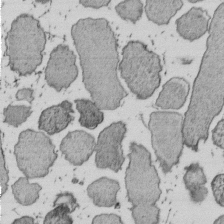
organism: E. coli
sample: Bacterial nucleoid